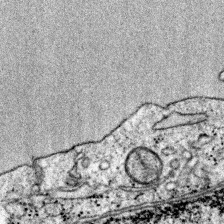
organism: Human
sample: HeLa cells